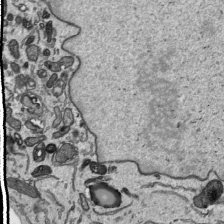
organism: Human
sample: Mitochondria in HCT116 cells